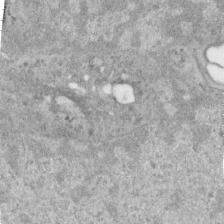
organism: Human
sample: Centriole in RPE cells